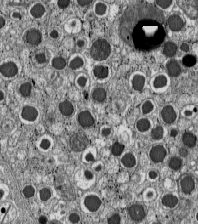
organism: C57BL Mouse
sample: Pancreatic islet